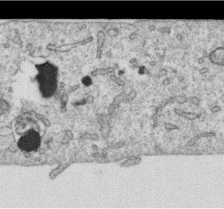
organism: Human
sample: Centriole in RPE cells